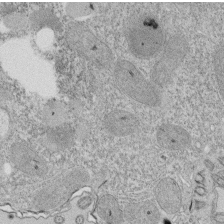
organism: Tetrahymena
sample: Cilia in tetrahymena